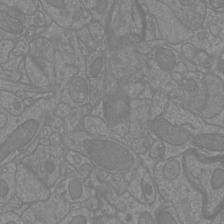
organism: Mouse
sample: Cortical neurons